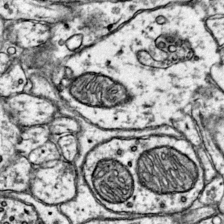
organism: Mouse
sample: Primary visual cortex